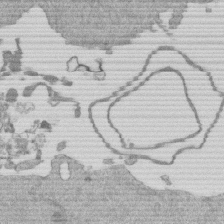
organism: Mouse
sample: Dividing mouse embryo 1 cell stage